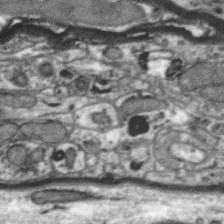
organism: Zebra finch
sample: Brain